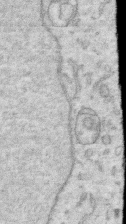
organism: Human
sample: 1205lu cells